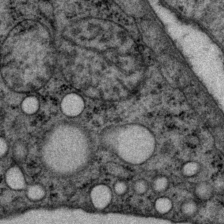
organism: P. pacificus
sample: Pharynx